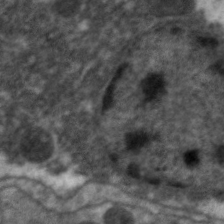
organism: C. elegans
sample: Pharynx